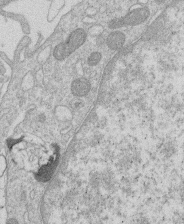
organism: Human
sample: Macrophage cells